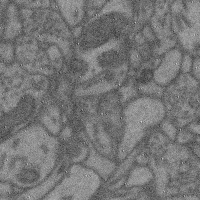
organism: Mouse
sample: Cerebral cortex